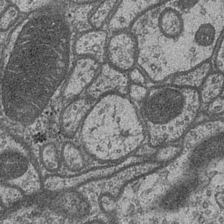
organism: Drosophila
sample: Optic medulla